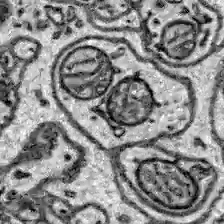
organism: Zebrafish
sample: Brain